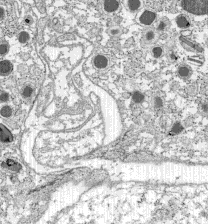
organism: C57BL Mouse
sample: Pancreatic islet